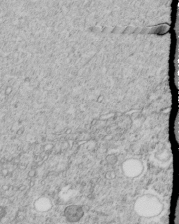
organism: C. elegans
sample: C. elegans embryo early stage